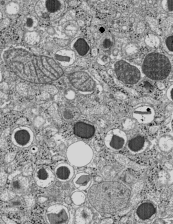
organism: C57BL Mouse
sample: Pancreatic islet